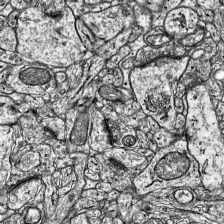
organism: Mouse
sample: Visual Cortex